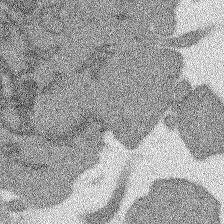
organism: Human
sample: HeLa cells